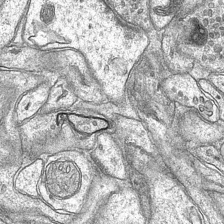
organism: Mouse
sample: CA1 Hippocampus